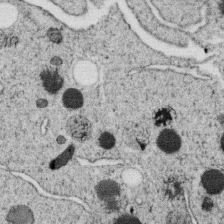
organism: C. elegans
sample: C. elegans oocyte; sperm cells